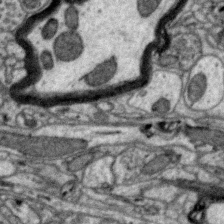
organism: Zebra finch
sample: Brain